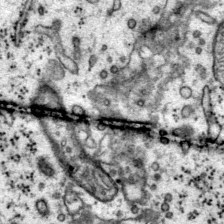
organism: Mouse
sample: Primary visual cortex